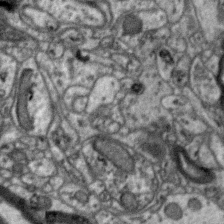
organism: Zebra finch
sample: Brain